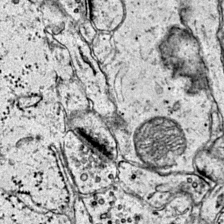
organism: Mouse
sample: Primary visual cortex